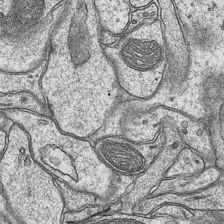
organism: Mouse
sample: CA1 Hippocampus